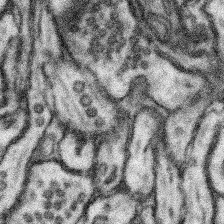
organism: Mouse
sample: Somatosensory cortex neuropil